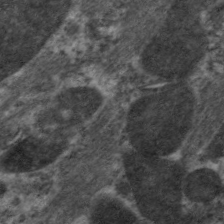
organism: C. elegans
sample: Pharynx